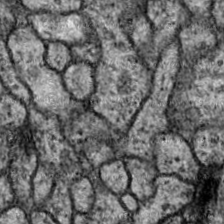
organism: Drosophila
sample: Ventral Nerve Cord